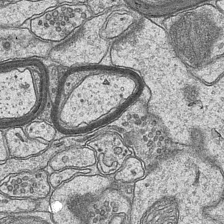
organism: Mouse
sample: CA1 Hippocampus